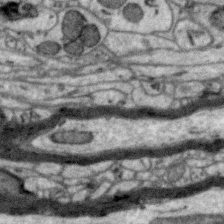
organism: Zebra finch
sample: Brain